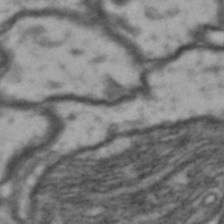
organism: Drosophila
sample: Brain